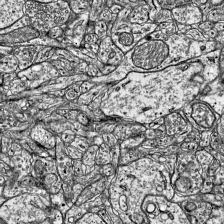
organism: Mouse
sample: Visual Cortex